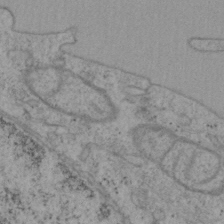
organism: Human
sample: HeLa cells